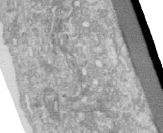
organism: Human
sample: Centriole in RPE cells